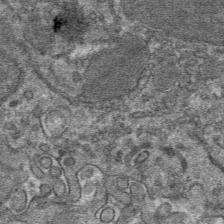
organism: Mouse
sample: Mouse hepatocytes